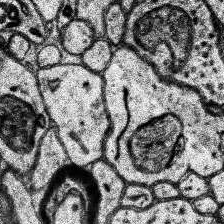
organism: Human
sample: Temporal Lobe